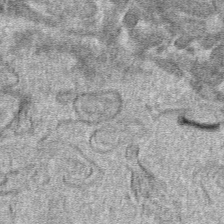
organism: Mouse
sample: Mouse hepatocytes